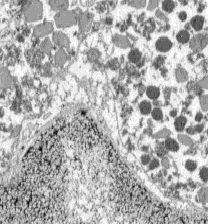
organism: C57BL Mouse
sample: Pancreatic islet